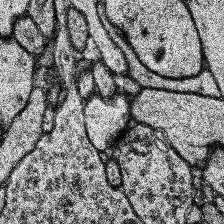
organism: Human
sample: Temporal Lobe